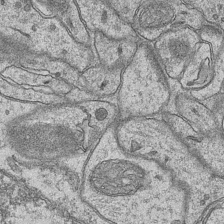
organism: Mouse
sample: CA1 Hippocampus